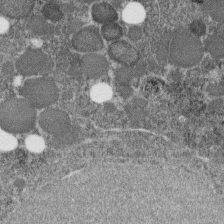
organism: C. elegans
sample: C. elegans embryo early stage